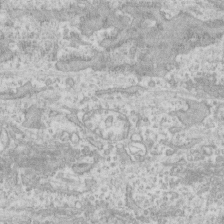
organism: Human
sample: CRL-1474